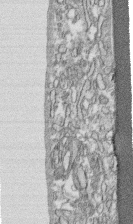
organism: Human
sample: CRL-1474